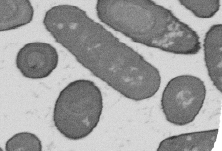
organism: B. subtilis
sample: Bacterial spore